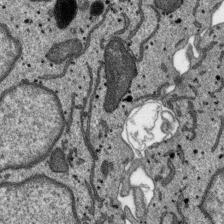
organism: Human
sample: Lung epithelial cells, uninfected (mock) control